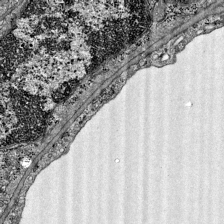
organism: Mouse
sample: Visual Cortex